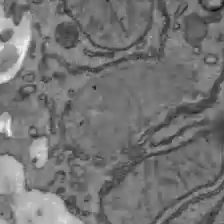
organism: C57BL Mouse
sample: Liver